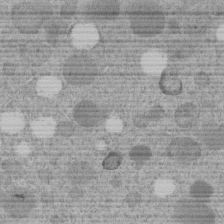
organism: C. elegans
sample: C. elegans embryo early stage